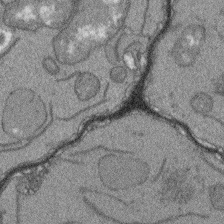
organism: Arabidopsis thaliana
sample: Root tip